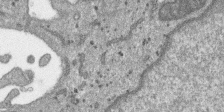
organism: Human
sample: Lung epithelial cells infected with SARS-CoV-2